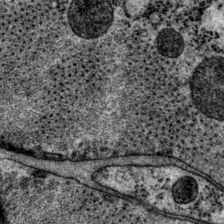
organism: P. pacificus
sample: Pharynx